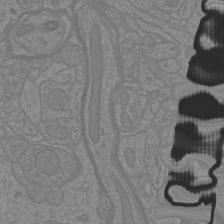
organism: Mouse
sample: Cortical neurons